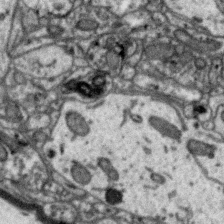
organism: Zebra finch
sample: Brain